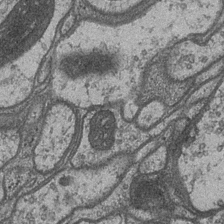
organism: Drosophila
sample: Optic medulla